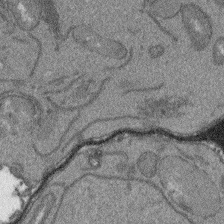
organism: Arabidopsis thaliana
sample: Root tip